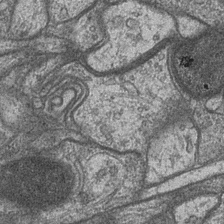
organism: Drosophila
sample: Optic medulla